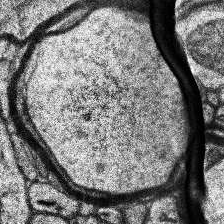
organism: Human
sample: Temporal Lobe